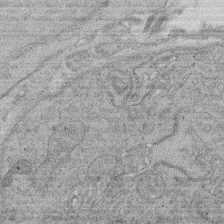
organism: Rat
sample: Salivary granule